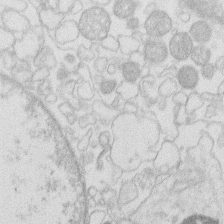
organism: Human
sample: Macrophage cells